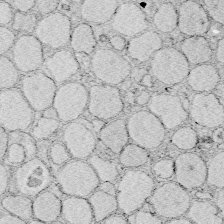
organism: Zebrafish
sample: Whole-Brain